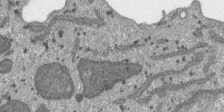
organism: Human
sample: Lung epithelial cells infected with SARS-CoV-2